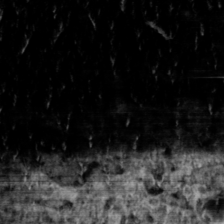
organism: Toxoplasma gondii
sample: Parasites in a vacuole inside a host cell